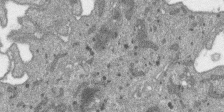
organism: Human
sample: Lung epithelial cells infected with SARS-CoV-2